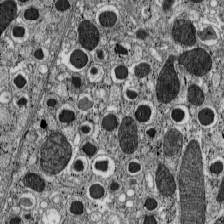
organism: C57BL Mouse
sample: Pancreatic islet